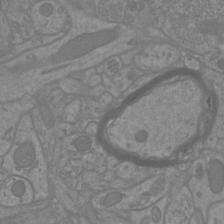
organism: Mouse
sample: Cortical neurons